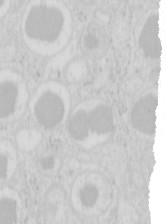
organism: Mouse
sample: Pancreas